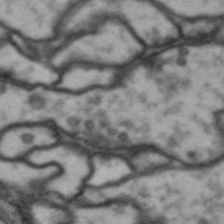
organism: Drosophila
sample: Brain